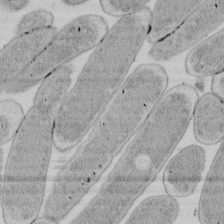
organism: E. coli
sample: Bacterial nucleoid